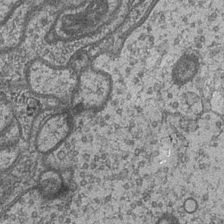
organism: Drosophila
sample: Optic medulla